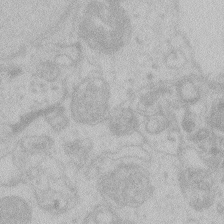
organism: Zebrafish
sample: Macrophage infected with Toxoplasma gondii